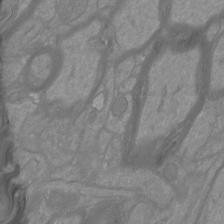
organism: Mouse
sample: Cortical neurons